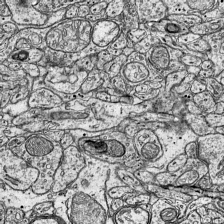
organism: Mouse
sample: Visual Cortex